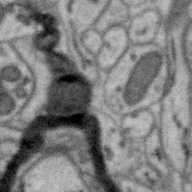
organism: Zebra finch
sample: Brain